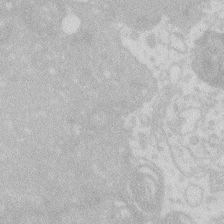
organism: Zebrafish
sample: Macrophage